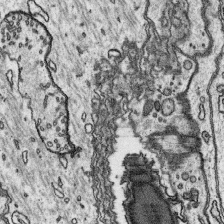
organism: Platynereis dumerilii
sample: Parapodia